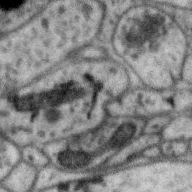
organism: Zebra finch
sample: Brain